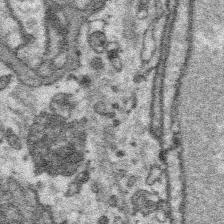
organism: Platynereis dumerilii